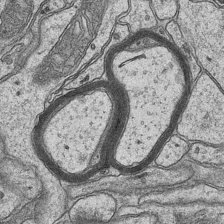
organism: Mouse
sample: CA1 Hippocampus